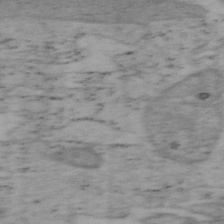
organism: Mouse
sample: OT-I killer T cells with ID8 ovarian cancer cells